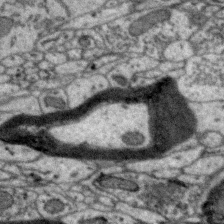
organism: Zebra finch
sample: Brain